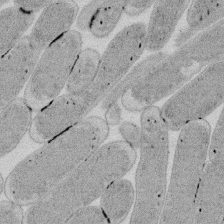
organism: E. coli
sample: Bacterial nucleoid